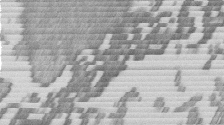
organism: Mouse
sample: Dividing mouse embryo 1 cell stage